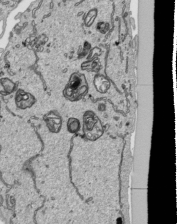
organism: Human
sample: Mitochondria in HCT116 cells